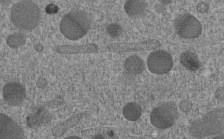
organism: C. elegans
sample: C. elegans embryo early stage